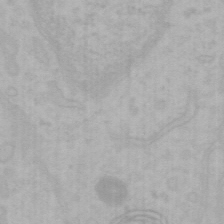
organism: Mouse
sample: Choroid plexus